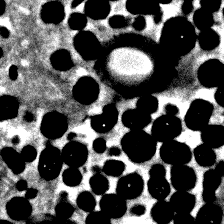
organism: Zebrafish